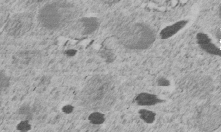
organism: C. elegans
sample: C. elegans embryo early stage